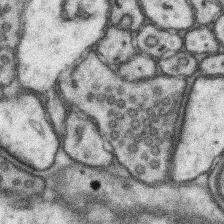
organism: Mouse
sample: Somatosensory cortex neuropil